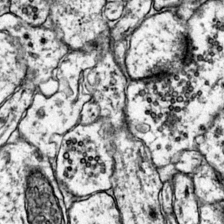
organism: Mouse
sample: Primary visual cortex